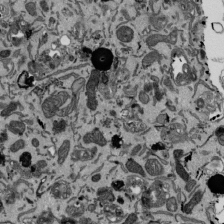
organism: Mouse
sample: ED-1 cell nuclei; centrioles